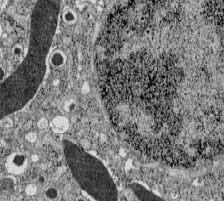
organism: C57BL Mouse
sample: Pancreatic islet